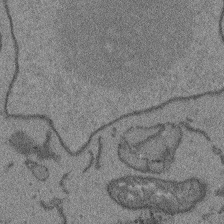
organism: Arabidopsis thaliana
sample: Root tip